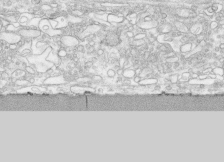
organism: Human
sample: CRL-1474